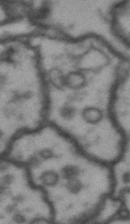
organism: Drosophila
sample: Brain